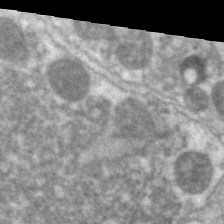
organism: C. elegans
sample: Pharynx